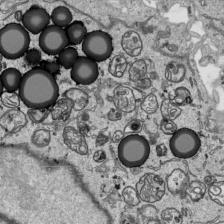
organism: Human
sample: Mitochondria in HCT116 cells